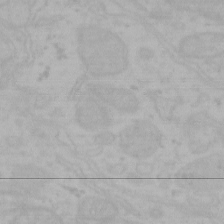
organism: Mouse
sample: Choroid plexus